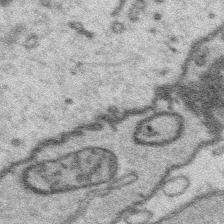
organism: Platynereis dumerilii